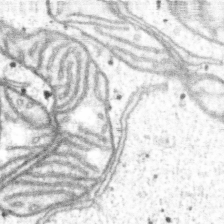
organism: Human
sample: HeLa cells